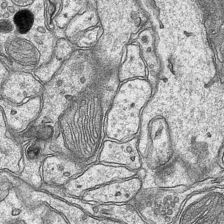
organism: Mouse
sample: CA1 Hippocampus